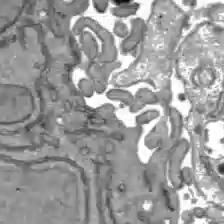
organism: C57BL Mouse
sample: Liver